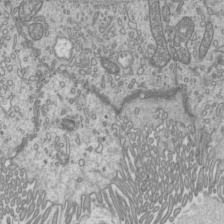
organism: Mouse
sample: Cilia; mouse epididymis